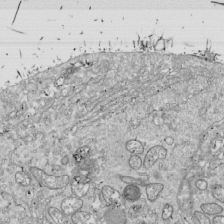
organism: Drosophila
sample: Cell division; meiosis; drosophila spermatocytes